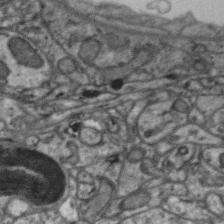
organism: Zebra finch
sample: Brain